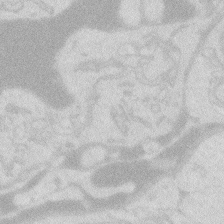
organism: Zebrafish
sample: Macrophage